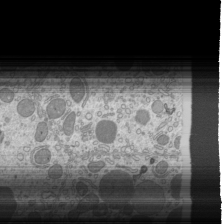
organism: Mouse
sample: Cilia; mouse epididymis